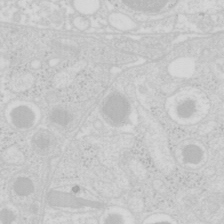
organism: Mouse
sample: Pancreas